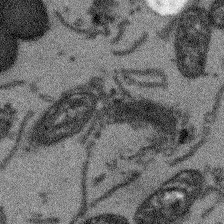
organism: Arabidopsis thaliana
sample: Root tip